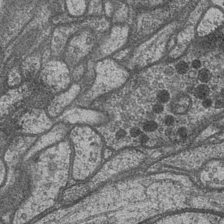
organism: Drosophila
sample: Optic medulla